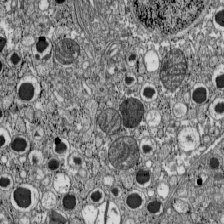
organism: C57BL Mouse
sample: Pancreatic islet